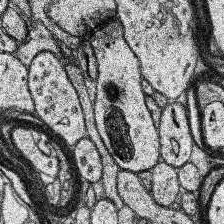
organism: Human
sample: Temporal Lobe